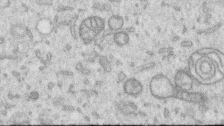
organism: Human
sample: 1205lu cells